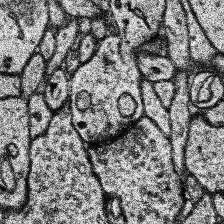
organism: Human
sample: Temporal Lobe